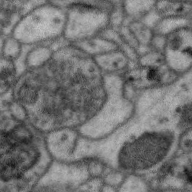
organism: Zebra finch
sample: Brain